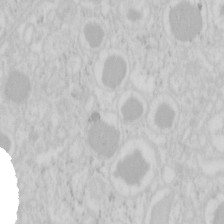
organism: Mouse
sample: Pancreas